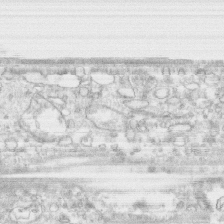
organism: Human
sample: CRL-1474